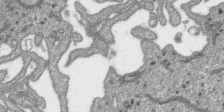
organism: Human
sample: Lung epithelial cells infected with SARS-CoV-2